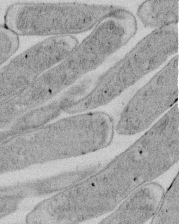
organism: E. coli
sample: Bacterial nucleoid